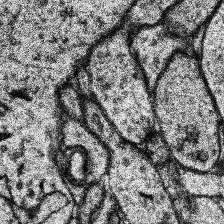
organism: Human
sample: Temporal Lobe